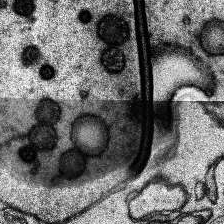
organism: Human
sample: Temporal Lobe